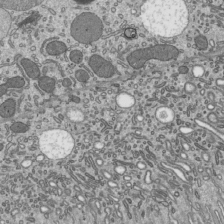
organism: Mouse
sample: Mouse epididymis efferent ductule cilia